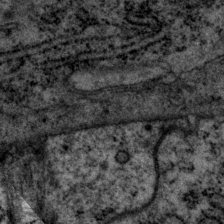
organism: P. pacificus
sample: Pharynx